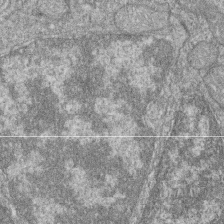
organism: Zebrafish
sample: Cilia; retinal pigment epithelium